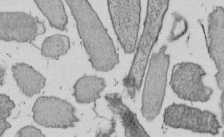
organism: E. coli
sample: Bacterial nucleoid